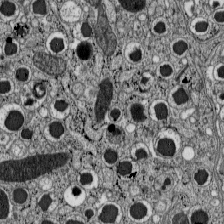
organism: C57BL Mouse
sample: Pancreatic islet